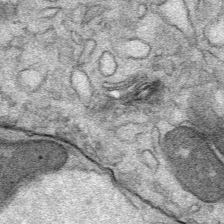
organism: Mouse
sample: Mouse Salivary gland